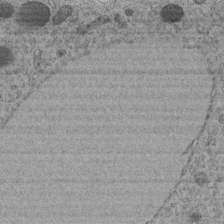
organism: C. elegans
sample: C. elegans embryo early stage